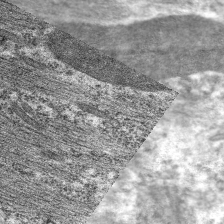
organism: C. elegans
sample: Pharynx